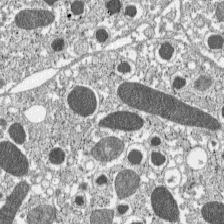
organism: C57BL Mouse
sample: Pancreatic islet